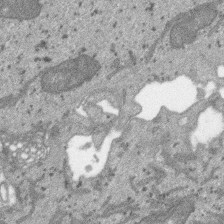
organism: Human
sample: Lung epithelial cells infected with SARS-CoV-2